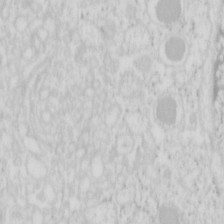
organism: Mouse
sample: Pancreas